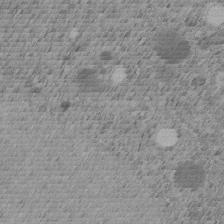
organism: C. elegans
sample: C. elegans embryo early stage